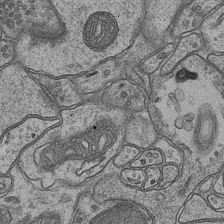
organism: Mouse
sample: CA1 Hippocampus